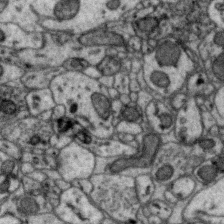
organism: Zebra finch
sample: Brain